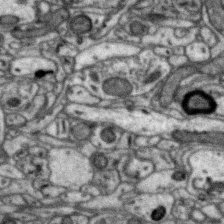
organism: Zebra finch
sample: Brain